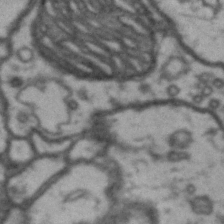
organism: Drosophila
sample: Brain